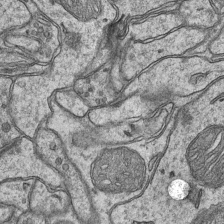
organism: Mouse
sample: CA1 Hippocampus